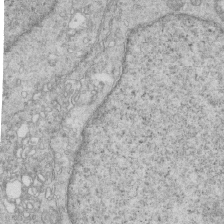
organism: Mouse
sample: Multiciliated cells